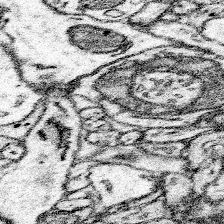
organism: Mouse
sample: Somatosensory cortex neuropil